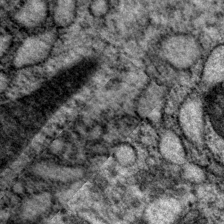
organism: P. pacificus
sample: Pharynx